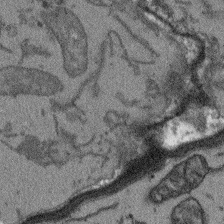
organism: Arabidopsis thaliana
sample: Root tip